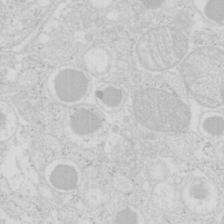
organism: Mouse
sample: Pancreas